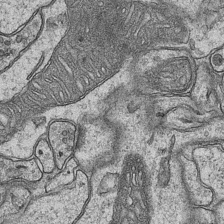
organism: Mouse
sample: CA1 Hippocampus